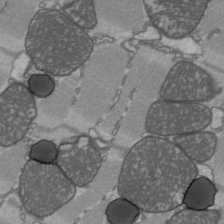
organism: C57BL Mouse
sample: Heart